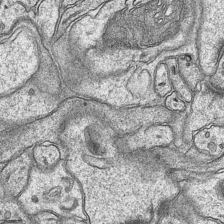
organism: Mouse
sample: CA1 Hippocampus